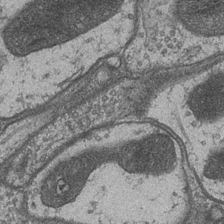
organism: Drosophila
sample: Optic medulla